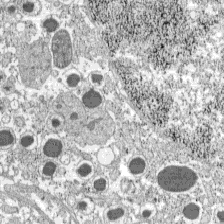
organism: C57BL Mouse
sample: Pancreatic islet